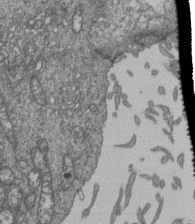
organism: Human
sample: Retinal organoid Rod and Cone cells